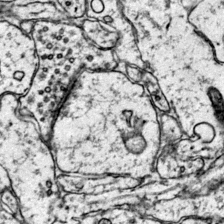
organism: Mouse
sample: Primary visual cortex